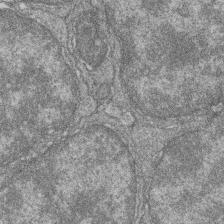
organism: Zebrafish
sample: Cilia; retinal pigment epithelium